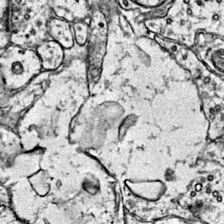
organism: Mouse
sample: Primary visual cortex